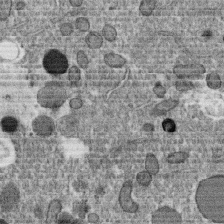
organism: C. elegans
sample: C. elegans oocyte; sperm cells